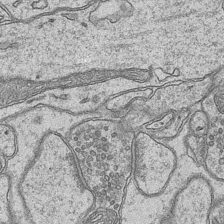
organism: Mouse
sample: CA1 Hippocampus